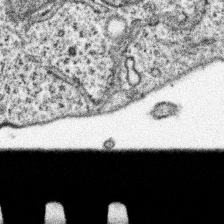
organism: Human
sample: HeLa cells